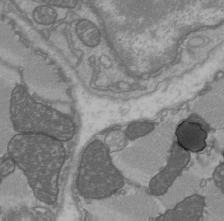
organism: C57BL Mouse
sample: Heart